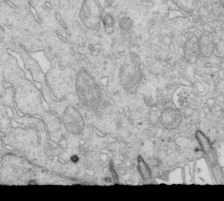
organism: Mouse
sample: Multiciliated cells